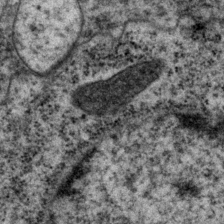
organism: P. pacificus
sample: Pharynx